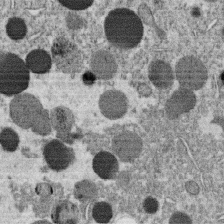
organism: C. elegans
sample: C. elegans oocyte; sperm cells